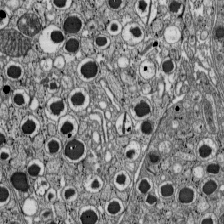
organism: C57BL Mouse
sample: Pancreatic islet